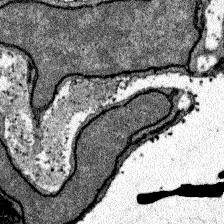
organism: Zebrafish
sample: Larval olfactory bulb